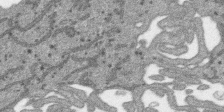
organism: Human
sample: Lung epithelial cells infected with SARS-CoV-2